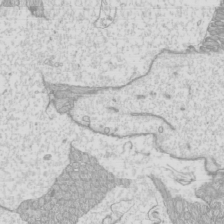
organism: Mouse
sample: Cilia; mouse epididymis